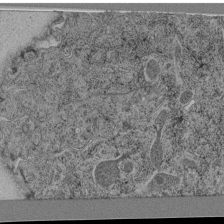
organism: C. elegans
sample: C. elegans pharynx